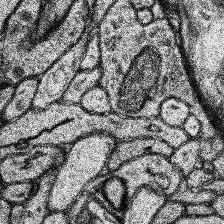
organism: Human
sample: Temporal Lobe